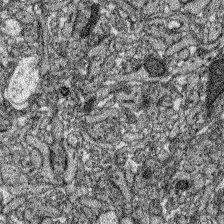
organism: Zebrafish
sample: Larval olfactory bulb